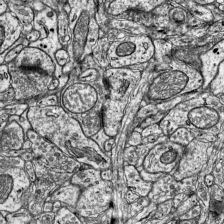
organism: Mouse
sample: Visual Cortex